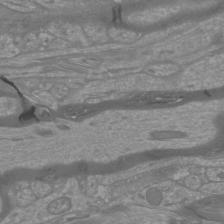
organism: Mouse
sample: Cortical neurons